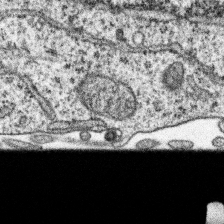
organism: Human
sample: HeLa cells